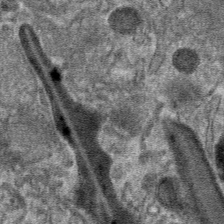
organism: Mouse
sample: Mouse hepatocytes